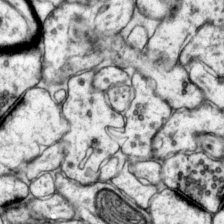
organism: Mouse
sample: Primary visual cortex